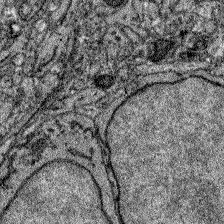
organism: Zebrafish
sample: Larval olfactory bulb